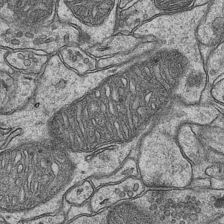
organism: Mouse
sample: CA1 Hippocampus